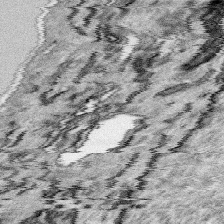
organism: Human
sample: HeLa cells